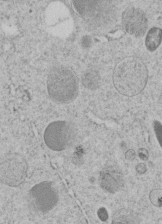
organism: C. elegans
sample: C. elegans embryo early stage